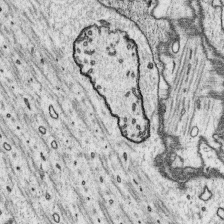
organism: Platynereis dumerilii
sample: Parapodia